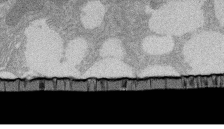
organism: Rat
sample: Salivary granule